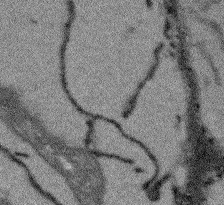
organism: Arabidopsis thaliana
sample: Root tip